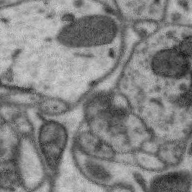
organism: Zebra finch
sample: Brain